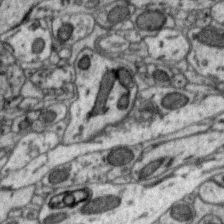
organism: Zebra finch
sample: Brain